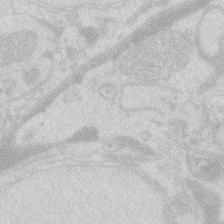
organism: Zebrafish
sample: Macrophage